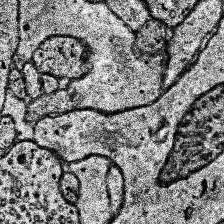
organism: Human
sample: Temporal Lobe